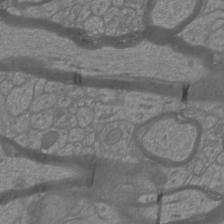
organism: Mouse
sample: Cortical neurons